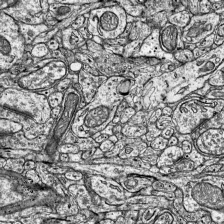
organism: Mouse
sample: Visual Cortex